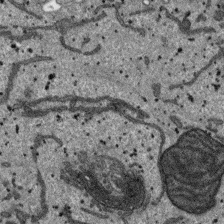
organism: Human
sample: Lung epithelial cells, uninfected (mock) control